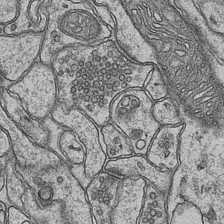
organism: Mouse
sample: CA1 Hippocampus